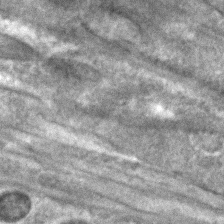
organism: C. elegans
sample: C. elegans embryo